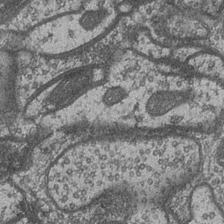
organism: Drosophila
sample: Optic medulla